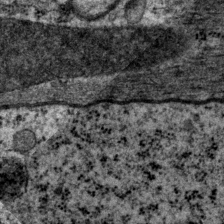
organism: P. pacificus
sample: Pharynx